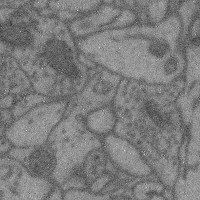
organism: Mouse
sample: Cerebral cortex